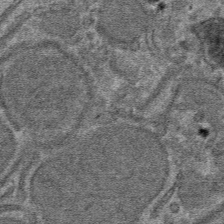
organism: Mouse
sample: Mouse hepatocytes